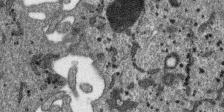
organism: Human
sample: Lung epithelial cells infected with SARS-CoV-2